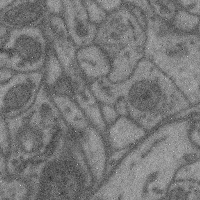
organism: Mouse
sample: Cerebral cortex